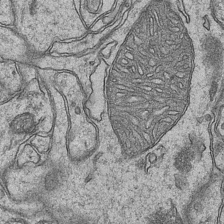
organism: Mouse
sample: CA1 Hippocampus